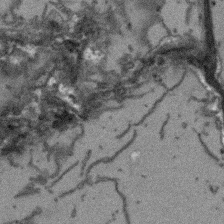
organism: Arabidopsis thaliana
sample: Root tip